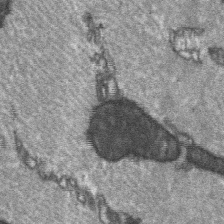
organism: C57BL Mouse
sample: Soleus